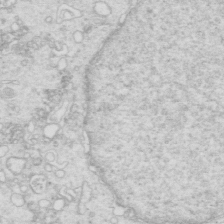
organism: Mouse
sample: Multiciliated cells